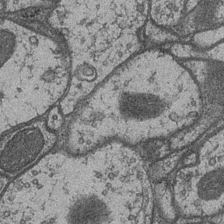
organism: Drosophila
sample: Optic medulla